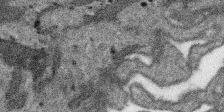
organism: Human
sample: Lung epithelial cells infected with SARS-CoV-2